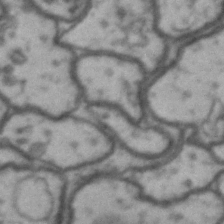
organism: Drosophila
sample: Brain